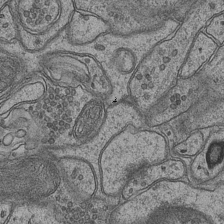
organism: Mouse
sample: CA1 Hippocampus